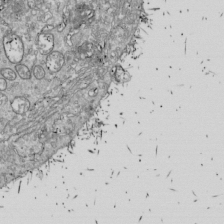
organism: Drosophila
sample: Cell division; meiosis; drosophila spermatocytes